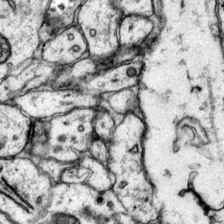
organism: Mouse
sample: Primary visual cortex